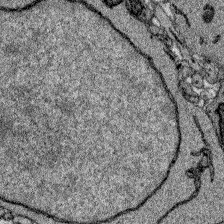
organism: Zebrafish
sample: Larval olfactory bulb